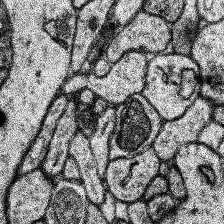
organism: Human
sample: Temporal Lobe